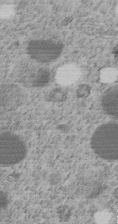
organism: C. elegans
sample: C. elegans embryo early stage